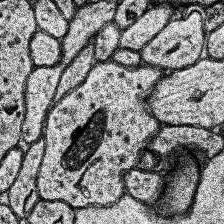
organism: Human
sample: Temporal Lobe